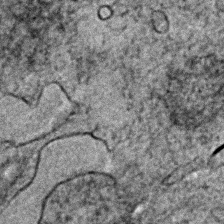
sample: Trachea